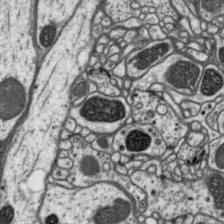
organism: Drosophila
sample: Protocerebral bridge